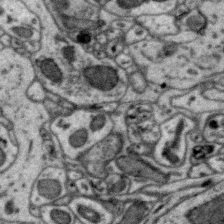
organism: Zebra finch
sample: Brain